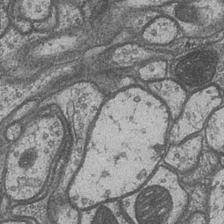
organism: Drosophila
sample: Optic medulla